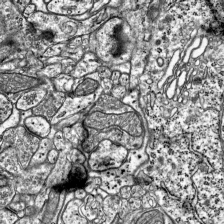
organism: Mouse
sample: Visual Cortex